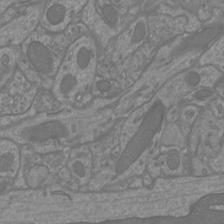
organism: Mouse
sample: Cortical neurons